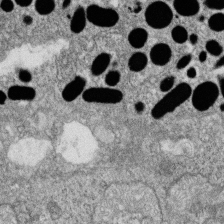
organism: Zebrafish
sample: Cilia; retinal pigment epithelium